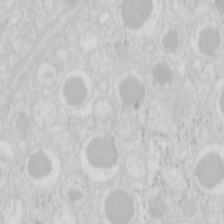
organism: Mouse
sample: Pancreas